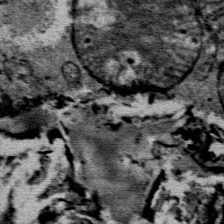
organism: Mouse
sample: Mouse Salivary gland